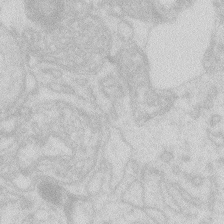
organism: Zebrafish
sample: Macrophage